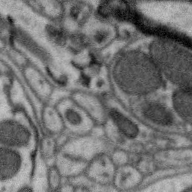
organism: Zebra finch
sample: Brain